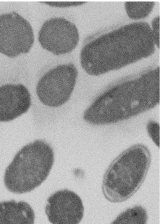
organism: E. coli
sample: Bacterial nucleoid